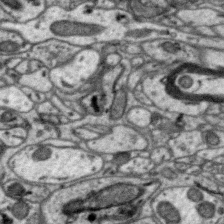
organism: Zebra finch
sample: Brain